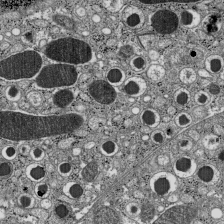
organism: C57BL Mouse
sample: Pancreatic islet